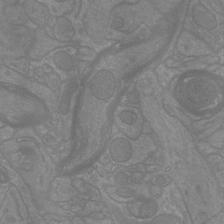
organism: Mouse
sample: Cortical neurons